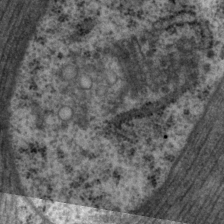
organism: P. pacificus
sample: Pharynx